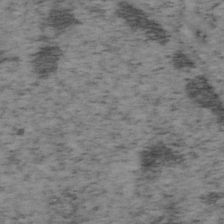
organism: Mouse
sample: OT-I killer T cells with ID8 ovarian cancer cells